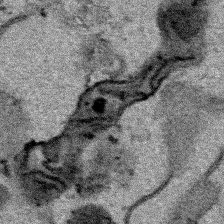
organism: Human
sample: Mitochondria in HCT116 cells